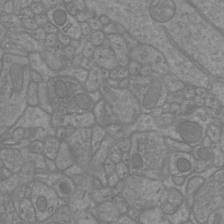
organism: Mouse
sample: Cortical neurons